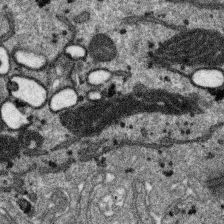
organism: Human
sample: Lung epithelial cells infected with SARS-CoV-2